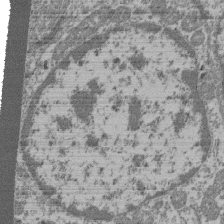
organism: Mouse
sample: Glomerulus